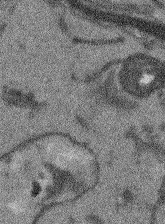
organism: Arabidopsis thaliana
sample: Root tip